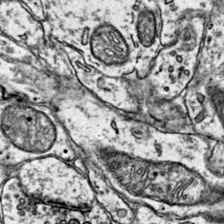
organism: Mouse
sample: Primary visual cortex